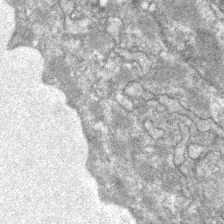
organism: Zebrafish